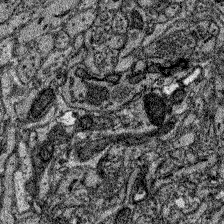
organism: Zebrafish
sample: Larval olfactory bulb